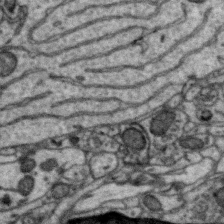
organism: Zebra finch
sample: Brain